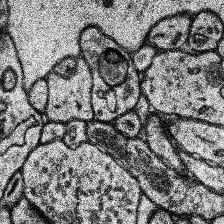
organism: Human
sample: Temporal Lobe